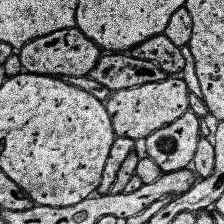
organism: Human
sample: Temporal Lobe